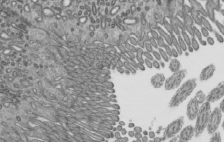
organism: Mouse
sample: Mouse epididymis efferent ductule cilia